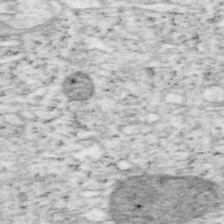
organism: Mouse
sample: OT-I killer T cells with ID8 ovarian cancer cells